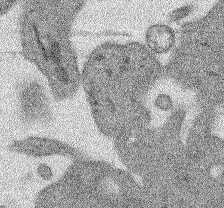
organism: Human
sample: HeLa cells